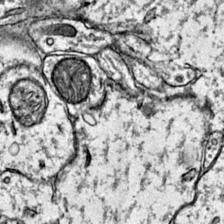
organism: Mouse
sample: Primary visual cortex